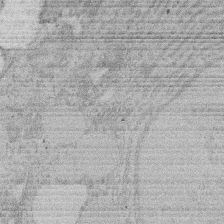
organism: Rat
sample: Salivary granule